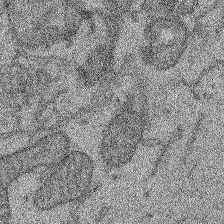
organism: Human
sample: HeLa cells